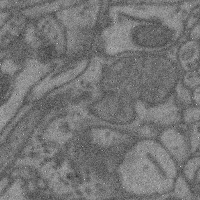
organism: Mouse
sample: Cerebral cortex